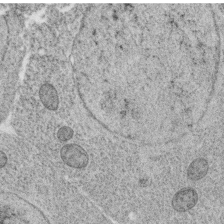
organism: C. elegans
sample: C. elegans oocyte; sperm cells